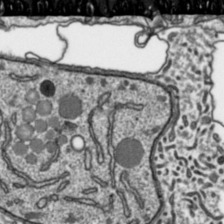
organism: Toxoplasma gondii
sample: Parasites in a vacuole inside a host cell